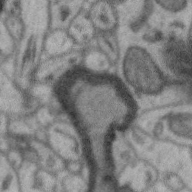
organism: Zebra finch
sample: Brain